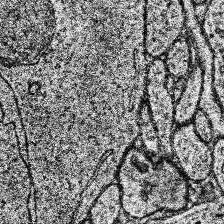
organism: Human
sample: Temporal Lobe